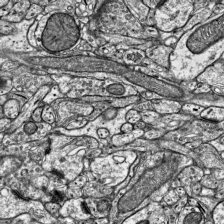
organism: Mouse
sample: Visual Cortex